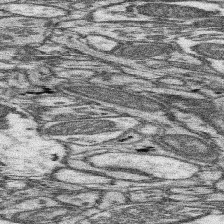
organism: Mouse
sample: Somatosensory cortex neuropil